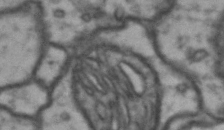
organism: Drosophila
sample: Brain